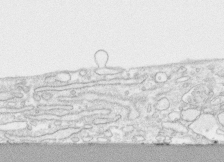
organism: Human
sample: CRL-1474